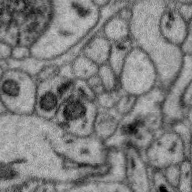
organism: Zebra finch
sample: Brain